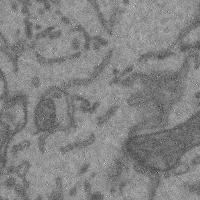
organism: Mouse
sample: Cerebral cortex